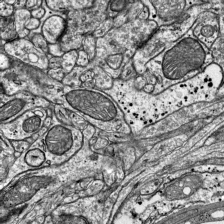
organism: Mouse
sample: Visual Cortex